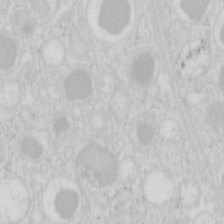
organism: Mouse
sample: Pancreas